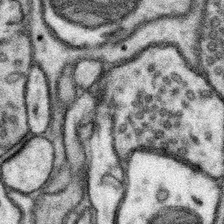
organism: Mouse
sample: Somatosensory cortex neuropil